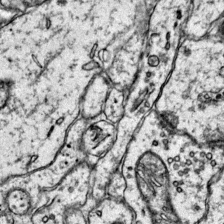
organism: Mouse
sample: Primary visual cortex